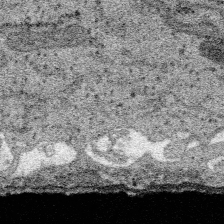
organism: Human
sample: Lung epithelial cells, uninfected (mock) control